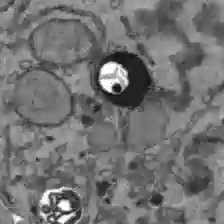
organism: C57BL Mouse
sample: Liver